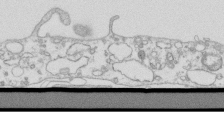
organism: Mouse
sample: Macrophages